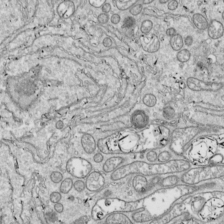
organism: Drosophila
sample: Cell division; meiosis; drosophila spermatocytes